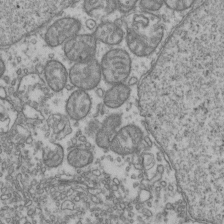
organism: Human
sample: Activated Jurkat CD4+ T cells